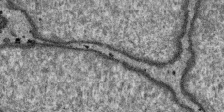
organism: Human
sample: Lung epithelial cells, uninfected (mock) control